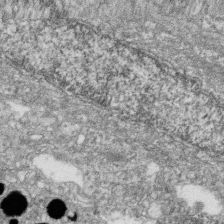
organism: Zebrafish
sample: Cilia; retinal pigment epithelium